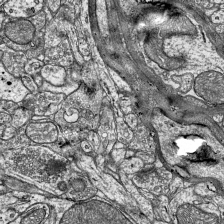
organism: Mouse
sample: Visual Cortex